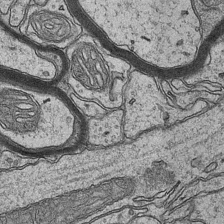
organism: Mouse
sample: CA1 Hippocampus